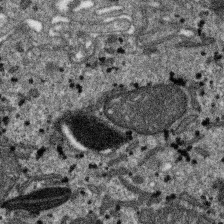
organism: Human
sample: Lung epithelial cells infected with SARS-CoV-2